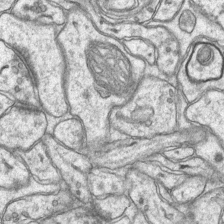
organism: Mouse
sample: CA1 Hippocampus